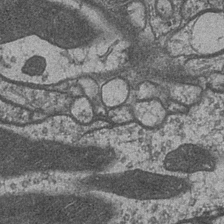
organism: Drosophila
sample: Optic medulla